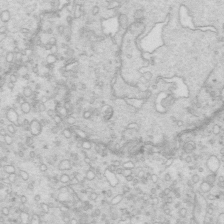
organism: Mouse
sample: Multiciliated cells